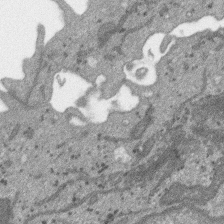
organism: Human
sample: Lung epithelial cells infected with SARS-CoV-2